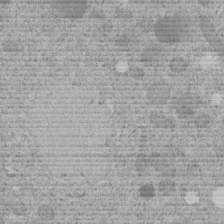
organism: C. elegans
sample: C. elegans embryo early stage